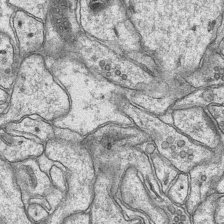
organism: Mouse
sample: CA1 Hippocampus